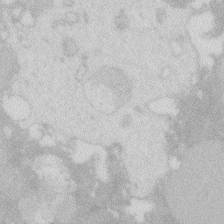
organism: Zebrafish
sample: Macrophage